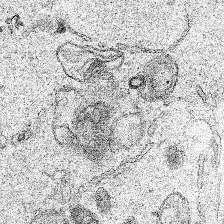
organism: Human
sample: Mitochondria in HCT116 cells